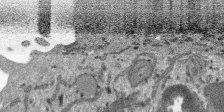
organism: Human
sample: Lung epithelial cells infected with SARS-CoV-2